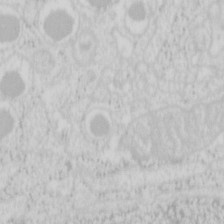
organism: Mouse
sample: Pancreas